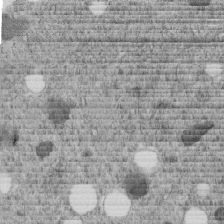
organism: C. elegans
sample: C. elegans embryo early stage